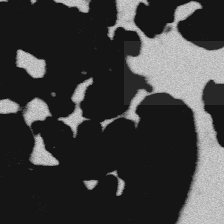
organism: Platynereis dumerilii